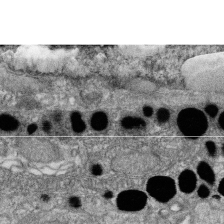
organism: Zebrafish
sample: Cilia; retinal pigment epithelium